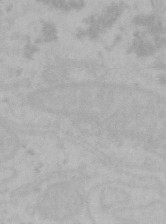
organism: Mouse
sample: Choroid plexus